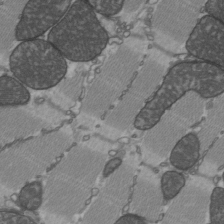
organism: C57BL Mouse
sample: Heart